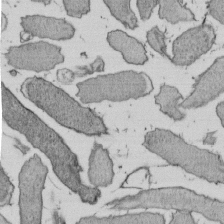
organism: E. coli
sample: Bacterial nucleoid